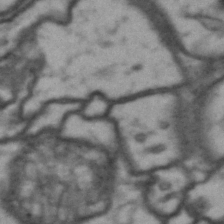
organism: Drosophila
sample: Brain